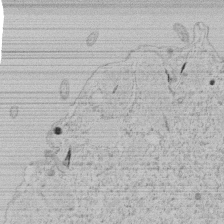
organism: Tetrahymena